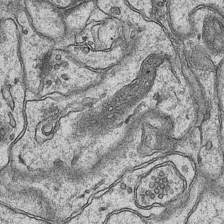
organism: Mouse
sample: CA1 Hippocampus